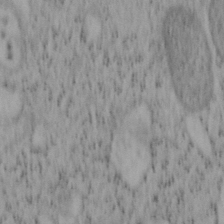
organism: Mouse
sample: OT-I killer T cells with ID8 ovarian cancer cells